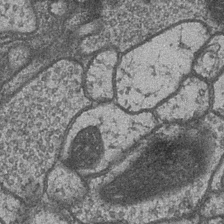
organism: Drosophila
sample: Optic medulla